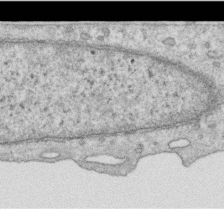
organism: Human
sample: Centriole in RPE cells